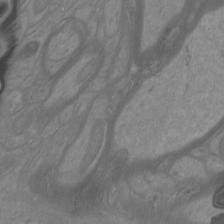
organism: Mouse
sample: Cortical neurons